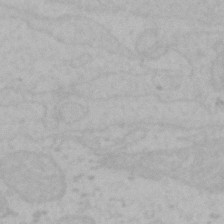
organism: Mouse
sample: Choroid plexus